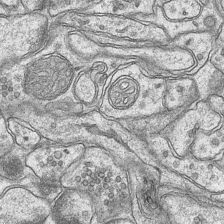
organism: Mouse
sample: CA1 Hippocampus